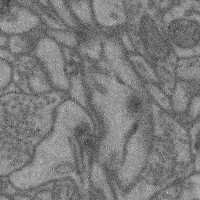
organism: Mouse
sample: Cerebral cortex